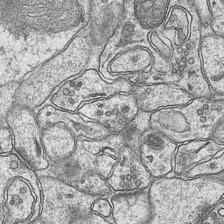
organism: Mouse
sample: CA1 Hippocampus